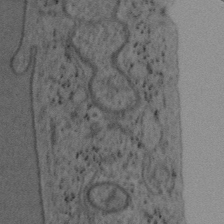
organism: Human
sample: HeLa cells